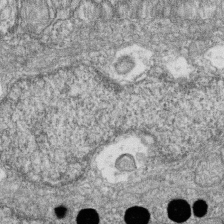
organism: Zebrafish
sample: Cilia; retinal pigment epithelium